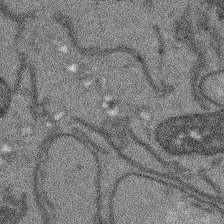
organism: Arabidopsis thaliana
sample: Root tip